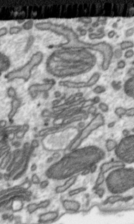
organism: Toxoplasma gondii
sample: Parasites in a vacuole inside a host cell